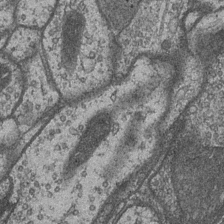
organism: Drosophila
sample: Optic medulla